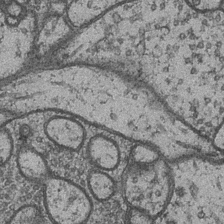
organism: Drosophila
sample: Optic medulla